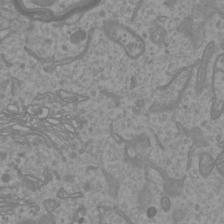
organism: Mouse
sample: Cortical neurons